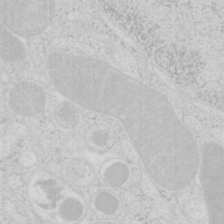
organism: Mouse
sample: Pancreas